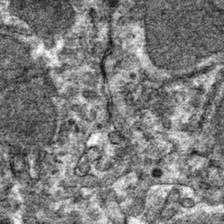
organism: Mouse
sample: Mouse hepatocytes